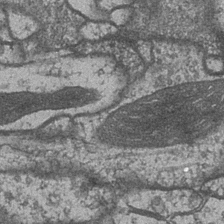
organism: Drosophila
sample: Optic medulla